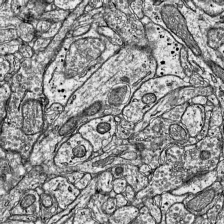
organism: Mouse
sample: Visual Cortex